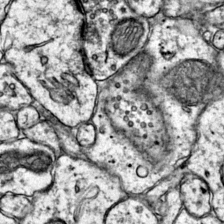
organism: Mouse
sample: Primary visual cortex